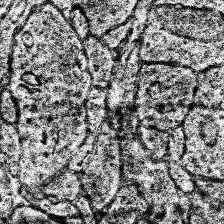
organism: Human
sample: Temporal Lobe